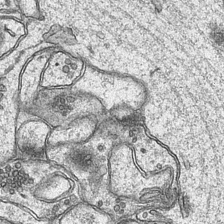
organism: Mouse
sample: CA1 Hippocampus